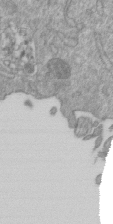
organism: Mouse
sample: ED-1 cell nuclei; centrioles